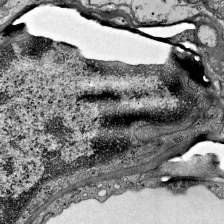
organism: Mouse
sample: Visual Cortex